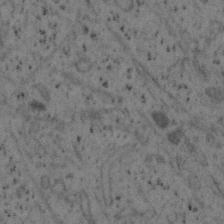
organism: Human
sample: HeLa cells